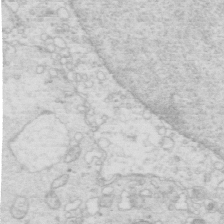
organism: Mouse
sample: Multiciliated cells